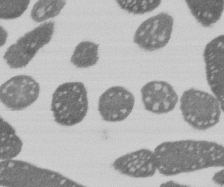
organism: E. coli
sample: Bacterial nucleoid